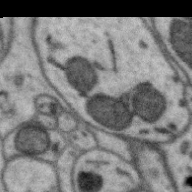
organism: Zebra finch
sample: Brain